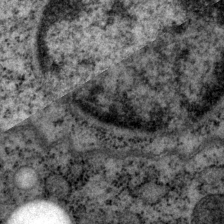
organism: P. pacificus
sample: Pharynx